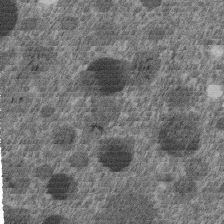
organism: C. elegans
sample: C. elegans embryo early stage